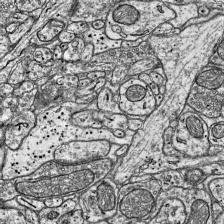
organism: Mouse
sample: Visual Cortex